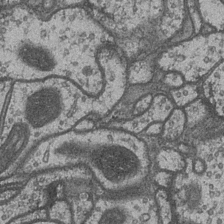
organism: Drosophila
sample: Optic medulla